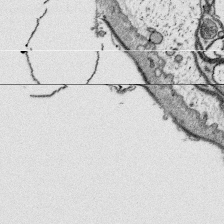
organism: Platynereis dumerilii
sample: Parapodia